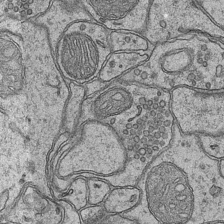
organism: Mouse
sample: CA1 Hippocampus